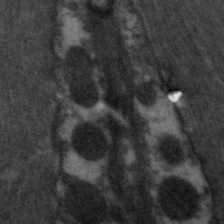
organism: C. elegans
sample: Pharynx